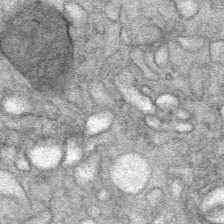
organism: Mouse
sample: Mouse Salivary gland